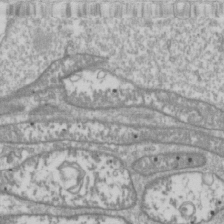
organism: Drosophila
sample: Cell division; meiosis; drosophila spermatocytes